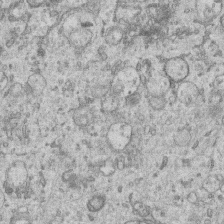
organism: Human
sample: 1205lu cells